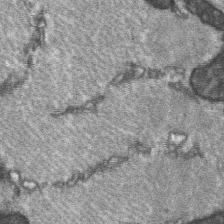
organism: C57BL Mouse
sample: Soleus